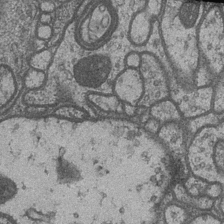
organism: Drosophila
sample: Optic medulla